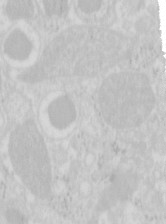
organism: Mouse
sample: Pancreas